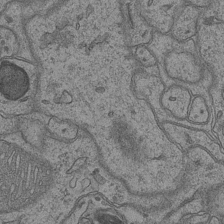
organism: Mouse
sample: CA1 Hippocampus